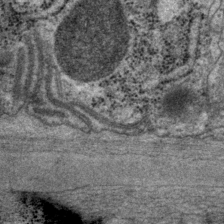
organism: P. pacificus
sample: Pharynx